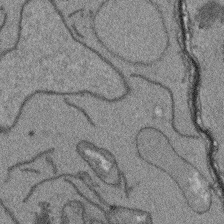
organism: Arabidopsis thaliana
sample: Root tip